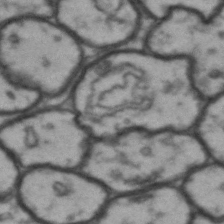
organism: Drosophila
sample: Brain